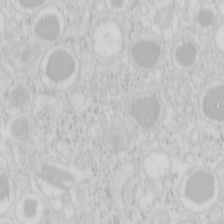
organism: Mouse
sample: Pancreas